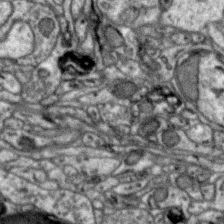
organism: Zebra finch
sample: Brain